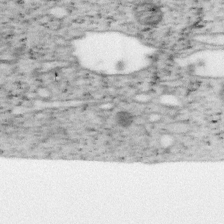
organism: Mouse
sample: OT-I killer T cells with ID8 ovarian cancer cells